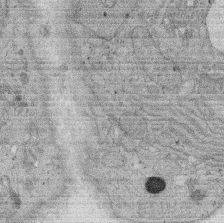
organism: Rat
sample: Salivary granule